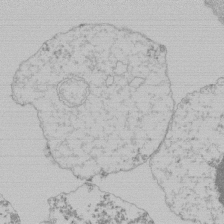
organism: Mouse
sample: Activated Pmel transgenic CD8+ T Cells